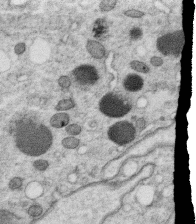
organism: C. elegans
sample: C. elegans oocyte; sperm cells